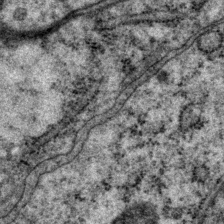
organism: P. pacificus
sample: Pharynx